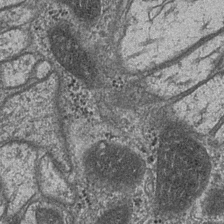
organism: Drosophila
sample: Optic medulla